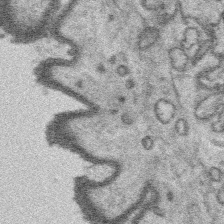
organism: Platynereis dumerilii